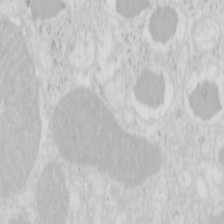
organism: Mouse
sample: Pancreas